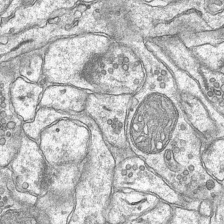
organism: Mouse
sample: CA1 Hippocampus